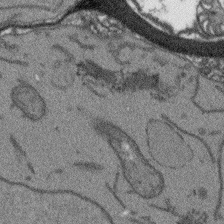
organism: Arabidopsis thaliana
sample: Root tip